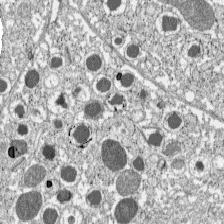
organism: C57BL Mouse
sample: Pancreatic islet